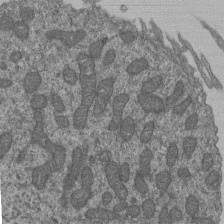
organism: Human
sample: Retinal organoid Rod and Cone cells